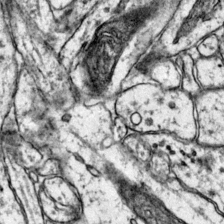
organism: Mouse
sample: Primary visual cortex